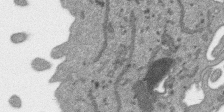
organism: Human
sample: Lung epithelial cells infected with SARS-CoV-2